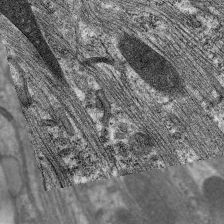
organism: C. elegans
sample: Pharynx